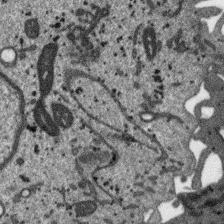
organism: Human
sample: Lung epithelial cells infected with SARS-CoV-2